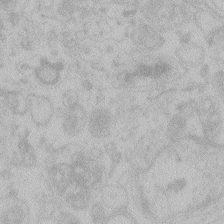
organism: Zebrafish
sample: Macrophage infected with Toxoplasma gondii